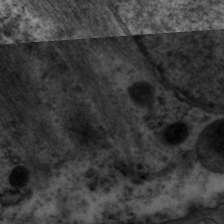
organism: P. pacificus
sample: Pharynx